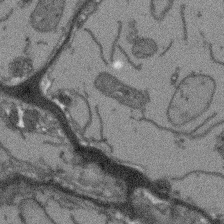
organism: Arabidopsis thaliana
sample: Root tip